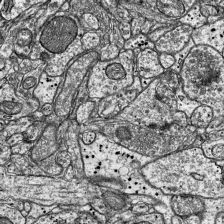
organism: Mouse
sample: Visual Cortex